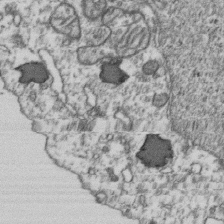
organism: Human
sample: Activated Jurkat CD4+ T cells